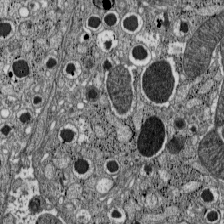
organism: C57BL Mouse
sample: Pancreatic islet